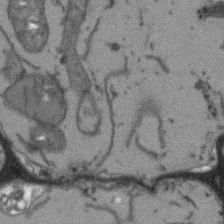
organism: Arabidopsis thaliana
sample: Root tip